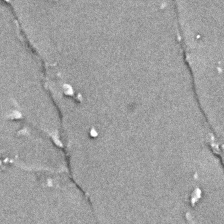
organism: E. coli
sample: E. Coli Bacteria